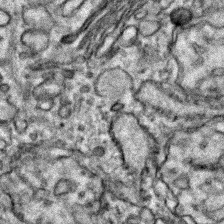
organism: Zebrafish